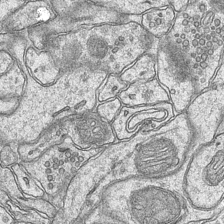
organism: Mouse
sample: CA1 Hippocampus